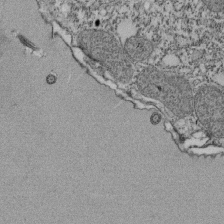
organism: Tetrahymena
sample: Cilia in tetrahymena